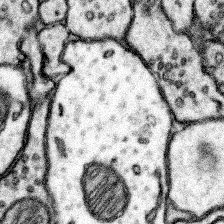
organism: Mouse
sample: Somatosensory cortex neuropil